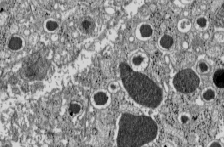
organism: C57BL Mouse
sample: Pancreatic islet